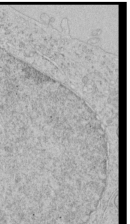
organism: Human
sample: Mitochondria in HCT116 cells